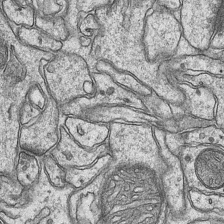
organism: Mouse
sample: CA1 Hippocampus